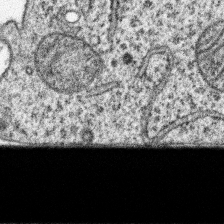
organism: Human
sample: HeLa cells